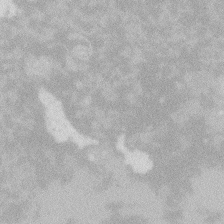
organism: Zebrafish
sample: Macrophage